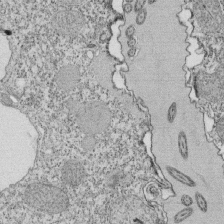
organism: Tetrahymena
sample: Cilia in tetrahymena